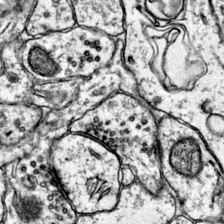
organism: Mouse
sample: Primary visual cortex